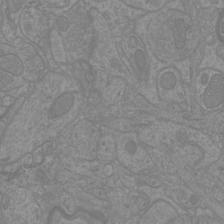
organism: Mouse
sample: Cortical neurons